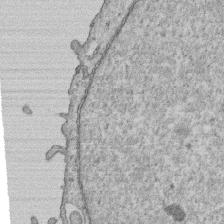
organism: Human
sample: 1205lu cells